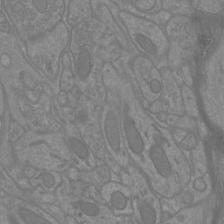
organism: Mouse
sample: Cortical neurons